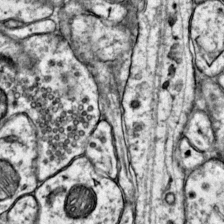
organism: Mouse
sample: Primary visual cortex